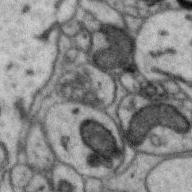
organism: Zebra finch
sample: Brain